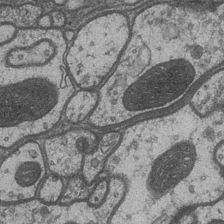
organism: Drosophila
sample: Optic medulla